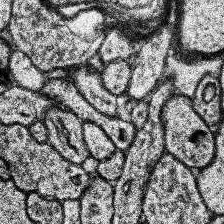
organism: Human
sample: Temporal Lobe